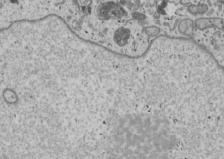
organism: Human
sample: Mitochondria in U2OS cells